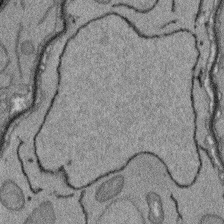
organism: Arabidopsis thaliana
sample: Root tip